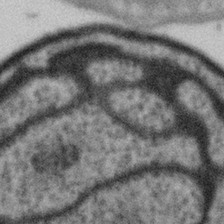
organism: Gemmata obscuriglobus